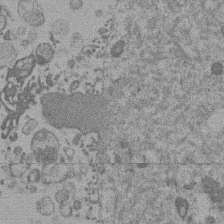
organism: Mouse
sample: Dividing mouse embryo 1 cell stage